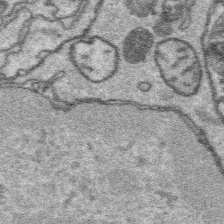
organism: Platynereis dumerilii